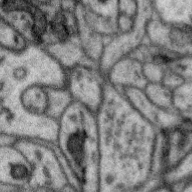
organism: Zebra finch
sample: Brain